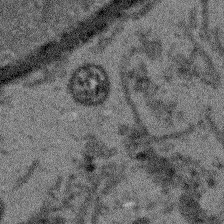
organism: Arabidopsis thaliana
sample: Root tip